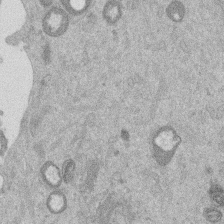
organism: Mouse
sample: Dividing mouse embryo 1 cell stage